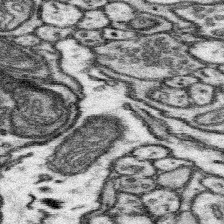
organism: Mouse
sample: Somatosensory cortex neuropil